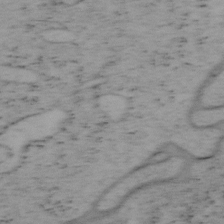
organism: Mouse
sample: OT-I killer T cells with ID8 ovarian cancer cells